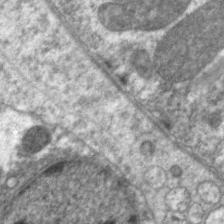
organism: C. elegans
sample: Pharynx